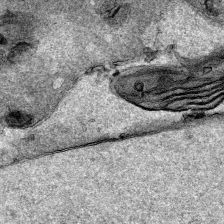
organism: Human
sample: Mitochondria in HCT116 cells